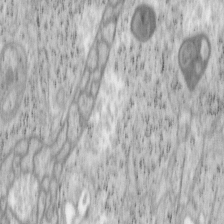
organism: Human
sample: HeLa cells